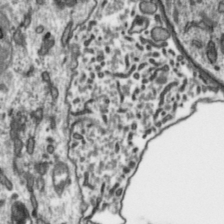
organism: Toxoplasma gondii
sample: Parasites in a vacuole inside a host cell